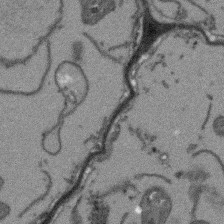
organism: Arabidopsis thaliana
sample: Root tip